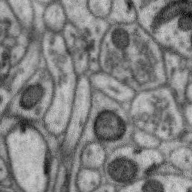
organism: Zebra finch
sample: Brain